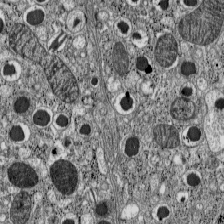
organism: C57BL Mouse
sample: Pancreatic islet